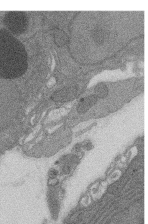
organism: Rat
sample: Salivary granule